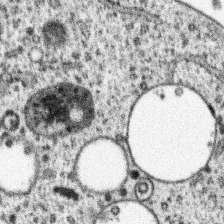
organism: Human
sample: HeLa cells